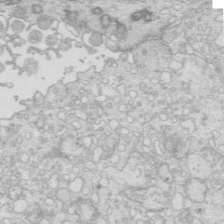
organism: Mouse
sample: Multiciliated cells